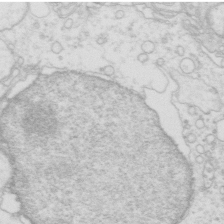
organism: Mouse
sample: Multiciliated cells